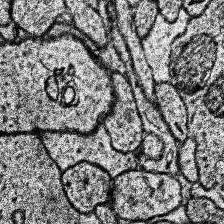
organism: Human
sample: Temporal Lobe